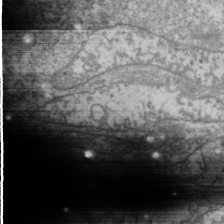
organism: Drosophila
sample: Cell division; meiosis; drosophila spermatocytes